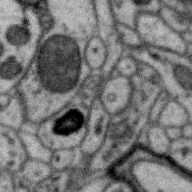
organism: Zebra finch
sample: Brain